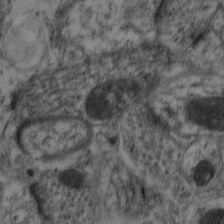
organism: Mouse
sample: Neocortex